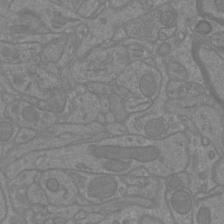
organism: Mouse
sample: Cortical neurons